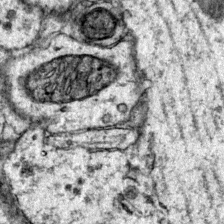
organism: Mouse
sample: Primary visual cortex